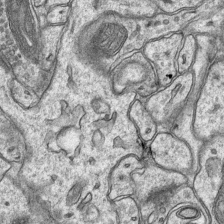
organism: Mouse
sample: CA1 Hippocampus